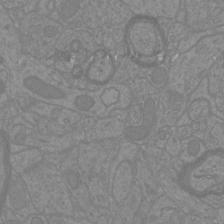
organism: Mouse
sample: Cortical neurons